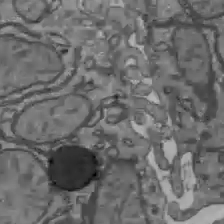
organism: C57BL Mouse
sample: Liver